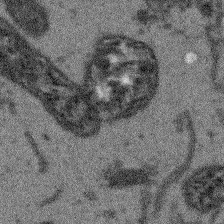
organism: Arabidopsis thaliana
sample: Root tip